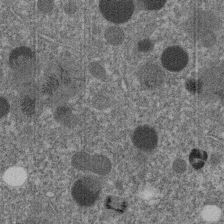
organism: C. elegans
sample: C. elegans embryo early stage